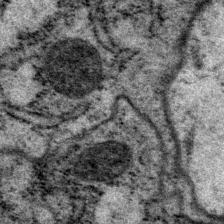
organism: P. pacificus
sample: Pharynx